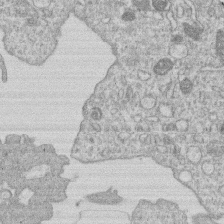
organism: Human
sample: Macrophage cells